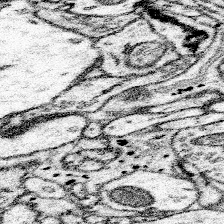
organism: Mouse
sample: Somatosensory cortex neuropil